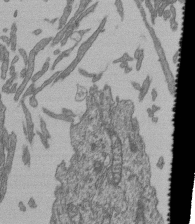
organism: Human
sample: Retinal organoid Rod and Cone cells